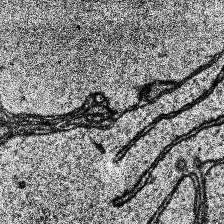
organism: Human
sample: Temporal Lobe